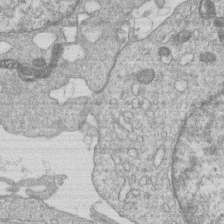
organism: Human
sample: Macrophage cells